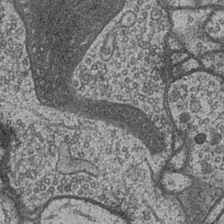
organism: Drosophila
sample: Optic medulla